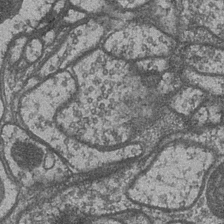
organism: Drosophila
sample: Optic medulla